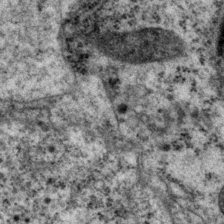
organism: P. pacificus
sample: Pharynx